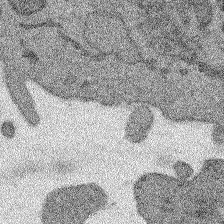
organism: Human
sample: HeLa cells